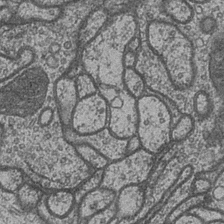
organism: Drosophila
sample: Optic medulla